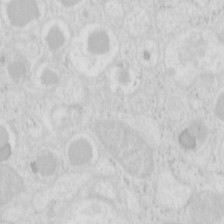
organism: Mouse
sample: Pancreas